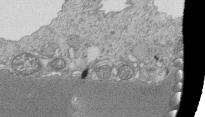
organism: Tetrahymena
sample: Cilia in tetrahymena